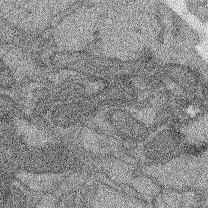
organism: Human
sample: HeLa cells